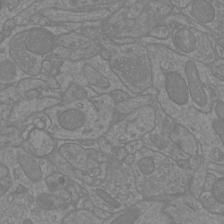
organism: Mouse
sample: Cortical neurons